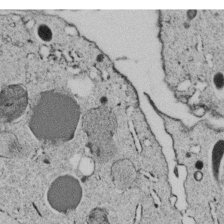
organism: C. elegans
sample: C. elegans embryo early stage